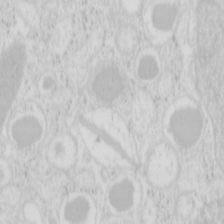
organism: Mouse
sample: Pancreas